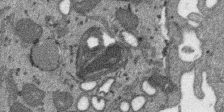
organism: Human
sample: Lung epithelial cells infected with SARS-CoV-2